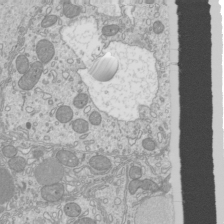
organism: Mouse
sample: Cilia; mouse epididymis